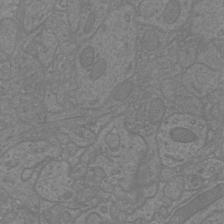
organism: Mouse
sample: Cortical neurons